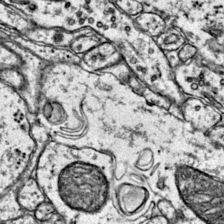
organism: Mouse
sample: Primary visual cortex